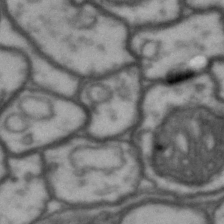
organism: Drosophila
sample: Brain